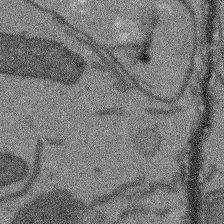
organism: Arabidopsis thaliana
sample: Root tip